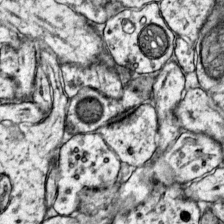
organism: Mouse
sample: Primary visual cortex